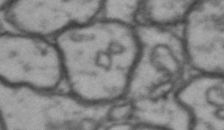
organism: Drosophila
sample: Brain